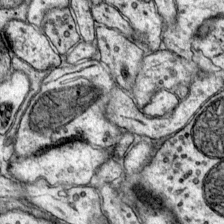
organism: Mouse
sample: Primary visual cortex